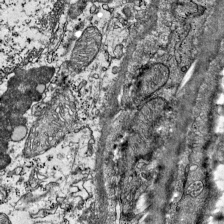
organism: Mouse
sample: Visual Cortex